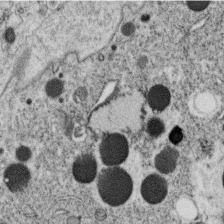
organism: C. elegans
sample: C. elegans oocyte; sperm cells